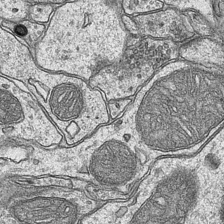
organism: Mouse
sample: CA1 Hippocampus